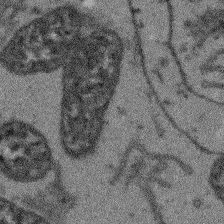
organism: Arabidopsis thaliana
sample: Root tip